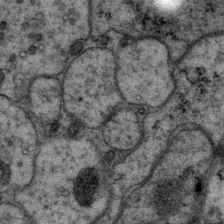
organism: P. pacificus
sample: Pharynx